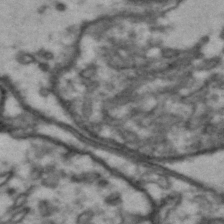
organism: Drosophila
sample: Brain